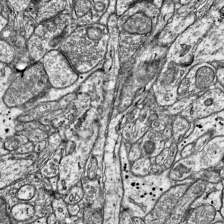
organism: Mouse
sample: Visual Cortex